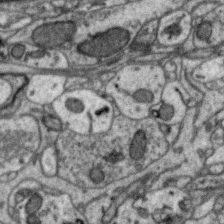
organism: Zebra finch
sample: Brain